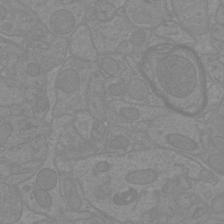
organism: Mouse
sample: Cortical neurons